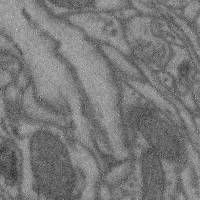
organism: Mouse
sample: Cerebral cortex